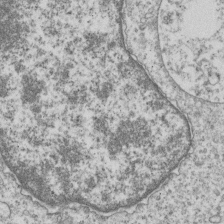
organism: Human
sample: MDA-MB-231 cells